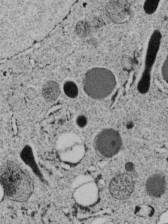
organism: C. elegans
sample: C. elegans embryo early stage